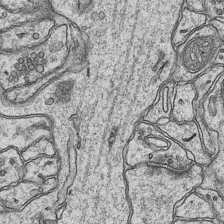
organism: Mouse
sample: CA1 Hippocampus